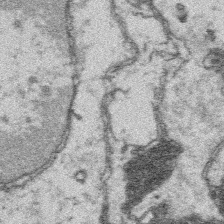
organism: Platynereis dumerilii